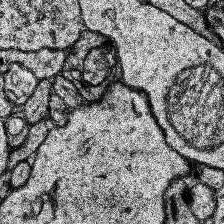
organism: Human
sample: Temporal Lobe